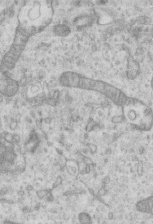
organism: Mouse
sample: Centriole in ependymal cells